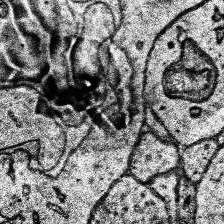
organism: Human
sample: Temporal Lobe